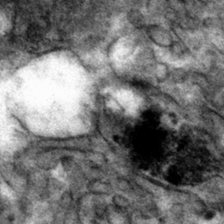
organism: Mouse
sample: Mouse hepatocytes